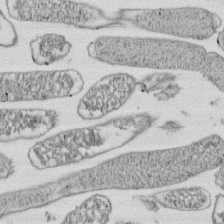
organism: E. coli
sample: Bacterial nucleoid